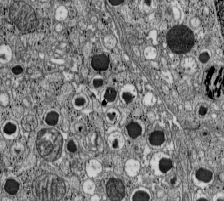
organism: C57BL Mouse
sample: Pancreatic islet